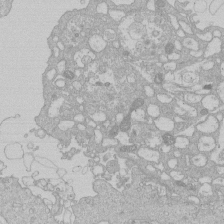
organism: Human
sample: Macrophage cells